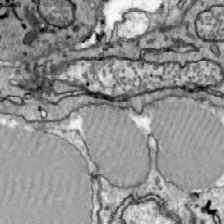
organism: Zebrafish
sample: Actinotrichia fibers